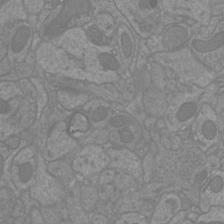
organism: Mouse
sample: Cortical neurons